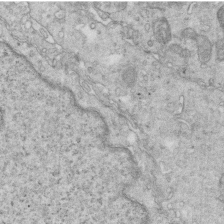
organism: Mouse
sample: Multiciliated cells